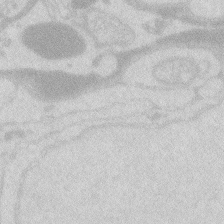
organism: Zebrafish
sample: Macrophage